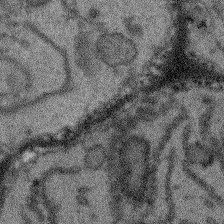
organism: Arabidopsis thaliana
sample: Root tip